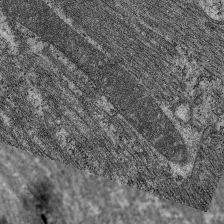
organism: C. elegans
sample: Pharynx